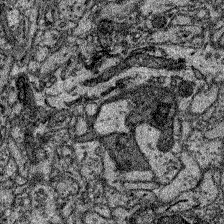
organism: Zebrafish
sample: Larval olfactory bulb